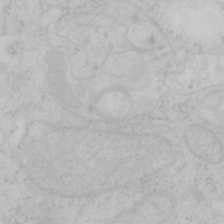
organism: Mouse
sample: OT-I killer T cells with ID8 ovarian cancer cells